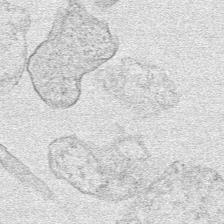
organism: Human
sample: Mitochondria in HCT116 cells